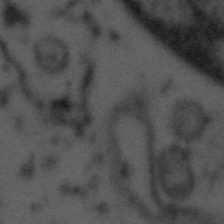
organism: Tuwongella immobilis